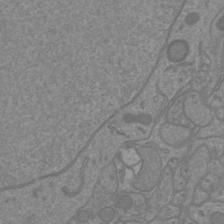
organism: Mouse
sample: Cortical neurons